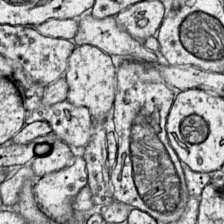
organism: Mouse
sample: Primary visual cortex